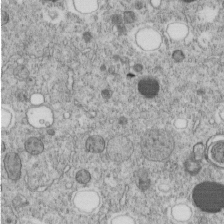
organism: C. elegans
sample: C. elegans embryo early stage